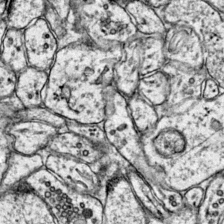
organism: Mouse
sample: Primary visual cortex